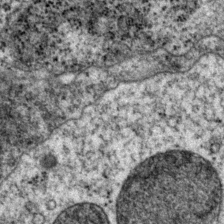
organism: P. pacificus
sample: Pharynx